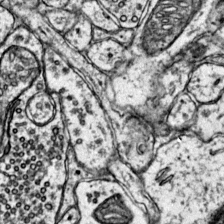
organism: Mouse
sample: Primary visual cortex